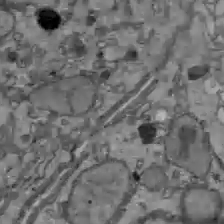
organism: C57BL Mouse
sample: Liver